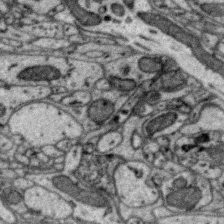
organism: Zebra finch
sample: Brain